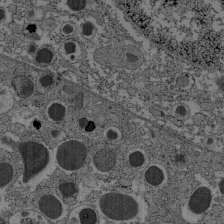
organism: C57BL Mouse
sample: Pancreatic islet